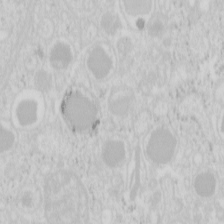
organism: Mouse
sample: Pancreas